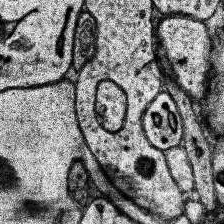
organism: Human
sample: Temporal Lobe